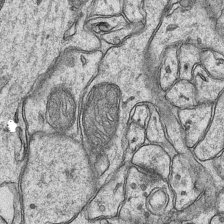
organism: Mouse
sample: CA1 Hippocampus